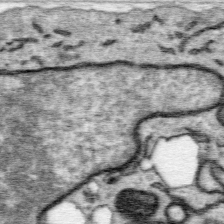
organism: Human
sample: HeLa cells